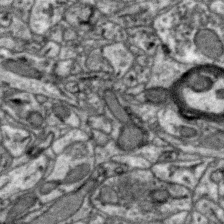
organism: Zebra finch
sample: Brain